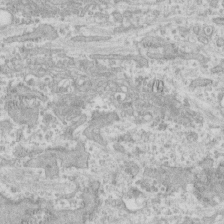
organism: Human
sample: CRL-1474